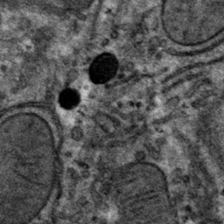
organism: Mouse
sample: Mouse hepatocytes